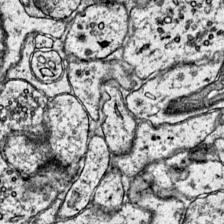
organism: Mouse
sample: Primary visual cortex